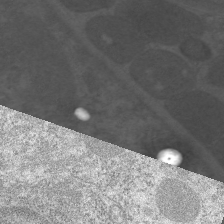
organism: C. elegans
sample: Pharynx